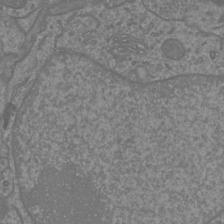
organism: Mouse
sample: Cortical neurons